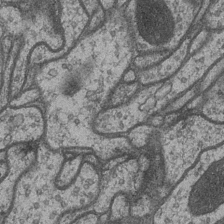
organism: Drosophila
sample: Optic medulla